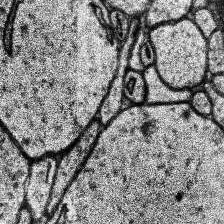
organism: Human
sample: Temporal Lobe